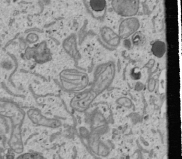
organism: Human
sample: Mitochondria in U2OS cells